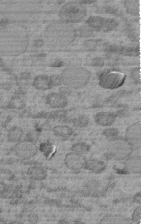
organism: C. elegans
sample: C. elegans embryo early stage